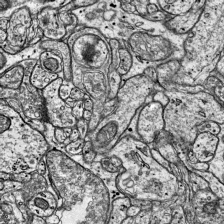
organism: Mouse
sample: Visual Cortex